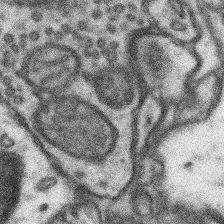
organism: Mouse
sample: Somatosensory cortex neuropil